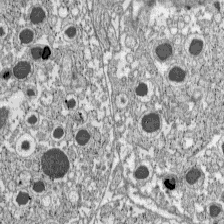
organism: C57BL Mouse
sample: Pancreatic islet